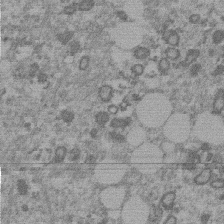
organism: Mouse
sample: Dividing mouse embryo 1 cell stage